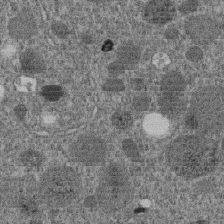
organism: C. elegans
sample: C. elegans embryo early stage